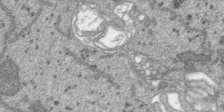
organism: Human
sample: Lung epithelial cells infected with SARS-CoV-2